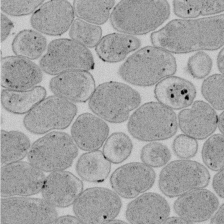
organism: E. coli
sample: Bacterial nucleoid